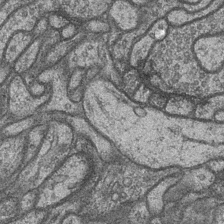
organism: Drosophila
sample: Optic medulla